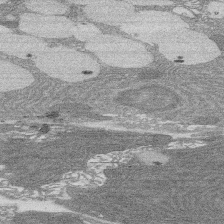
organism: Rat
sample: Salivary granule